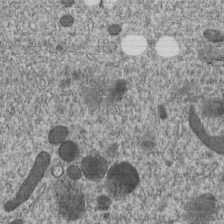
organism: C. elegans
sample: C. elegans embryo early stage